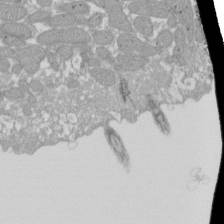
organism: Xenopus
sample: Cilia; centrioles in frog embryo cells